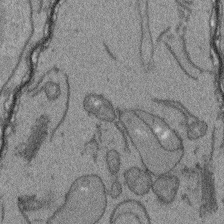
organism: Arabidopsis thaliana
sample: Root tip